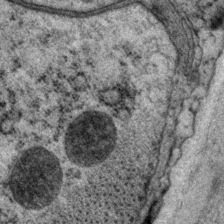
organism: P. pacificus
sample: Pharynx